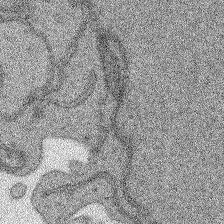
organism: Human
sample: HeLa cells